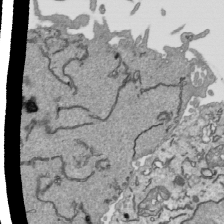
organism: Human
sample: Mitochondria in HCT116 cells